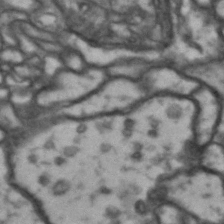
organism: Drosophila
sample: Brain